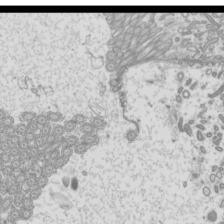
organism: Mouse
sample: Cilia; mouse epididymis